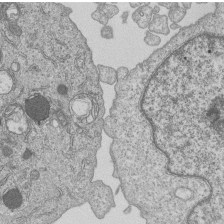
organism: Human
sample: MDA-MB-231 cells